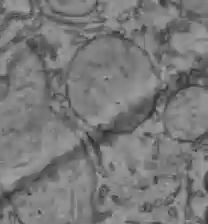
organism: C57BL Mouse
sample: Liver